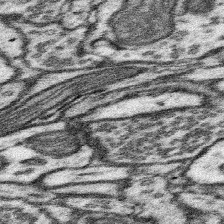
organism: Mouse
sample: Somatosensory cortex neuropil